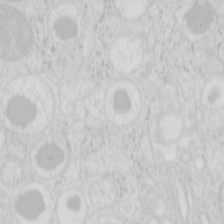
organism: Mouse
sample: Pancreas